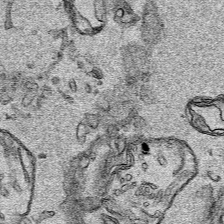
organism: Human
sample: Mitochondria in HCT116 cells